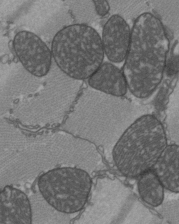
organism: C57BL Mouse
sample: Heart